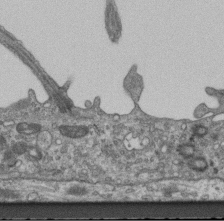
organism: Mouse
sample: Centriole in ependymal cells